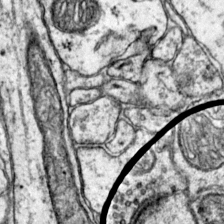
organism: Mouse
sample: Primary visual cortex